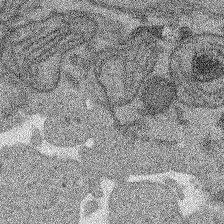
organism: Human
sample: HeLa cells